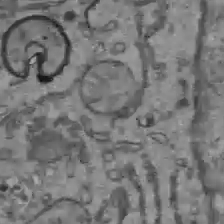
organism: C57BL Mouse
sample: Liver